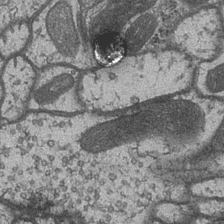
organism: Drosophila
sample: Optic medulla